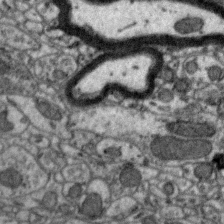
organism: Zebra finch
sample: Brain